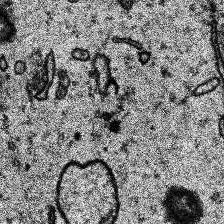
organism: Human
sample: Temporal Lobe